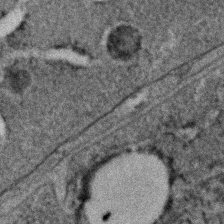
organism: C. elegans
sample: C. elegans embryo